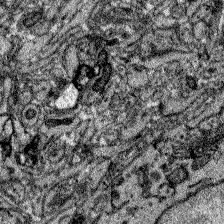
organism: Zebrafish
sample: Larval olfactory bulb